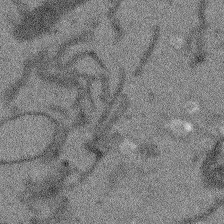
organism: Arabidopsis thaliana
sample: Root tip